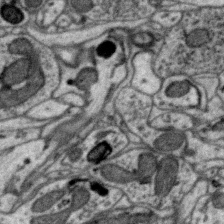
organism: Zebra finch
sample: Brain